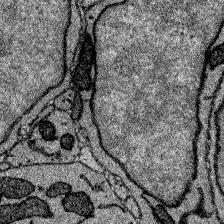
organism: Zebrafish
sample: Larval olfactory bulb